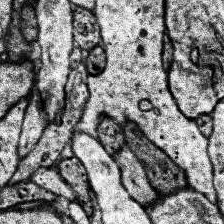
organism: Human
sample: Temporal Lobe